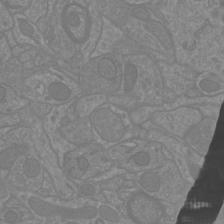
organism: Mouse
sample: Cortical neurons